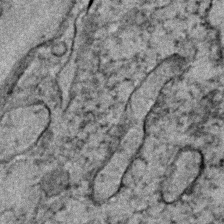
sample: Trachea